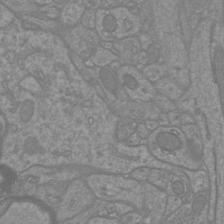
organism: Mouse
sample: Cortical neurons